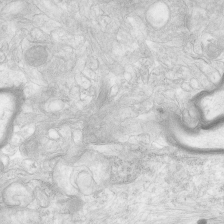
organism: Human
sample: Neocortex